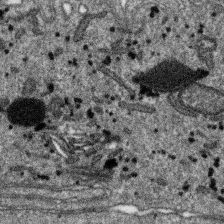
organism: Human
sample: Lung epithelial cells infected with SARS-CoV-2